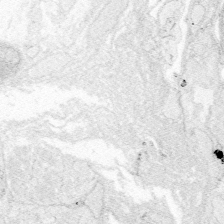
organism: Zebrafish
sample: Whole-Brain